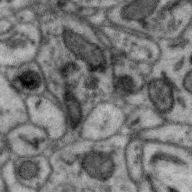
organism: Zebra finch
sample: Brain